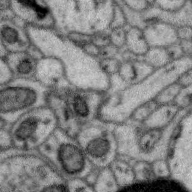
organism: Zebra finch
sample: Brain